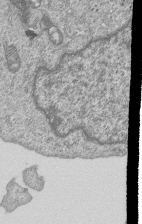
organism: Human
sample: MDA-MB-231 cells